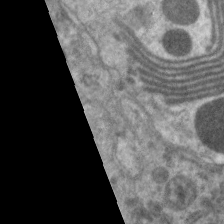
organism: C. elegans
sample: Pharynx